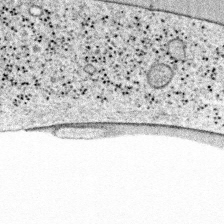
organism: Human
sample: HeLa cells